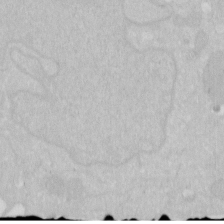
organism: Human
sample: HIV infected U937 cells